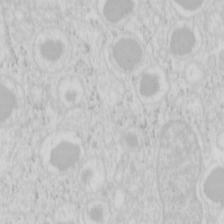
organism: Mouse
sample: Pancreas